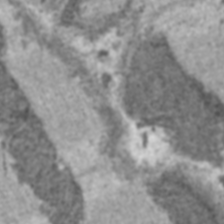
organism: C57BL Mouse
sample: Heart